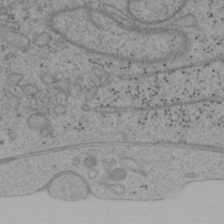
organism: Human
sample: HeLa cells